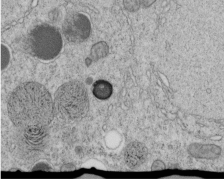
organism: C. elegans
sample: C. elegans embryo early stage